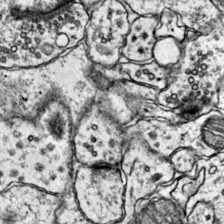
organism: Mouse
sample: Primary visual cortex